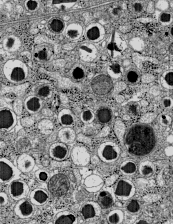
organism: C57BL Mouse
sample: Pancreatic islet